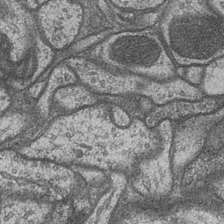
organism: Drosophila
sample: Optic medulla